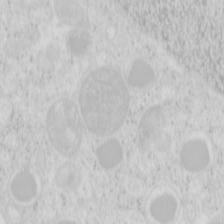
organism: Mouse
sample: Pancreas